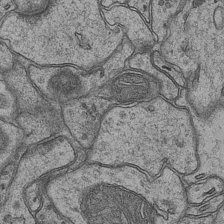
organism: Mouse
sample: CA1 Hippocampus